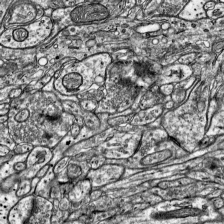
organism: Mouse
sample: Visual Cortex